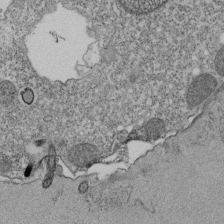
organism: Tetrahymena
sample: Cilia in tetrahymena